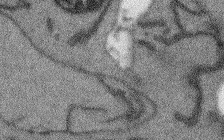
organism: Arabidopsis thaliana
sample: Root tip